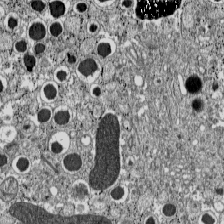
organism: C57BL Mouse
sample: Pancreatic islet